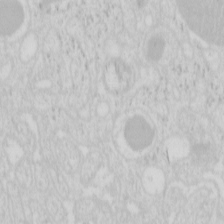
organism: Mouse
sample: Pancreas